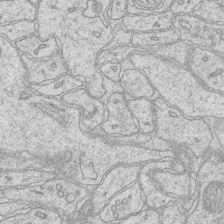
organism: Mouse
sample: CA1 Hippocampus